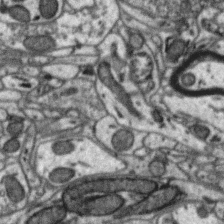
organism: Zebra finch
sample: Brain